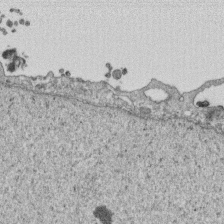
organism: Human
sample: HeLa cell HIV synapse